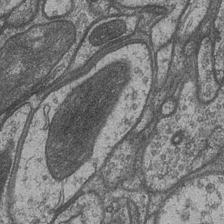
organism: Drosophila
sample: Optic medulla